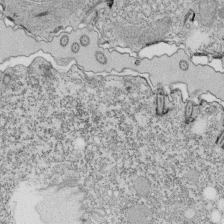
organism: Tetrahymena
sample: Cilia in tetrahymena